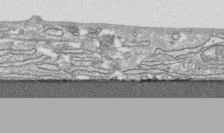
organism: Human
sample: CRL-1474